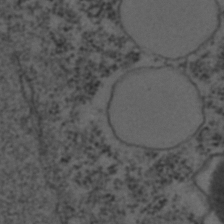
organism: C. elegans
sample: C. elegans embryo